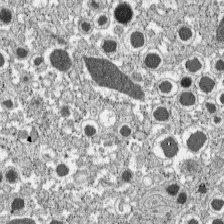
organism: C57BL Mouse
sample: Pancreatic islet